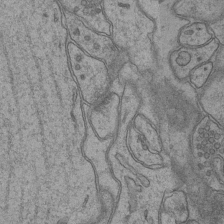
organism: Mouse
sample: CA1 Hippocampus